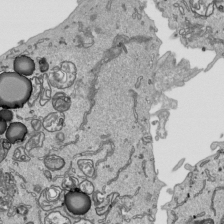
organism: Human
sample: Mitochondria in HCT116 cells